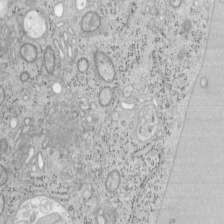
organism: Mouse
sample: OT-I killer T cells with ID8 ovarian cancer cells